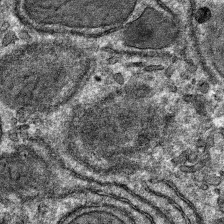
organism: Mouse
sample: Mouse hepatocytes